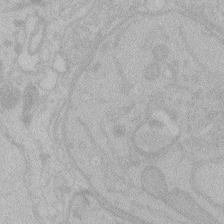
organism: Zebrafish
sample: Macrophage infected with Toxoplasma gondii